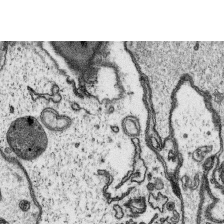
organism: Platynereis dumerilii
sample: Parapodia